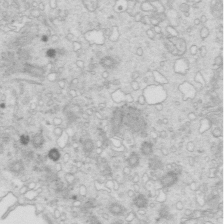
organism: Mouse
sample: Multiciliated cells